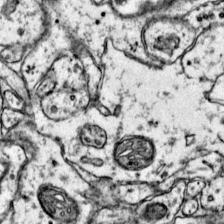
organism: Mouse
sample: Primary visual cortex